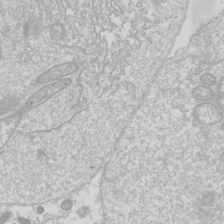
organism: Drosophila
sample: Cell division; meiosis; drosophila spermatocytes